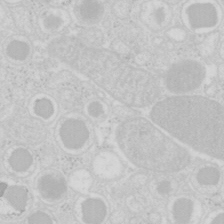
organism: Mouse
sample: Pancreas